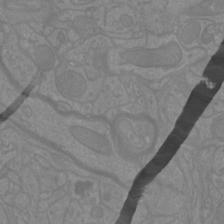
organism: Mouse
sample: Cortical neurons